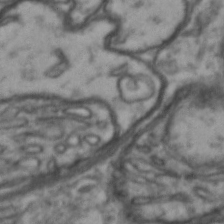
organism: Drosophila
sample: Brain